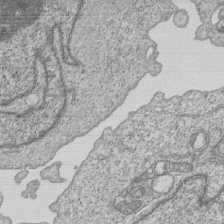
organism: Human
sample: MDA-MB-231 cells